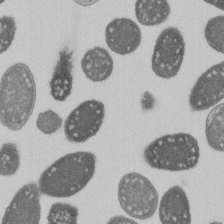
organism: E. coli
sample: Bacterial nucleoid